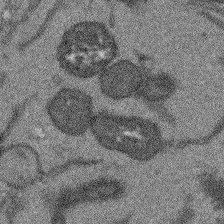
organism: Arabidopsis thaliana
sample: Root tip